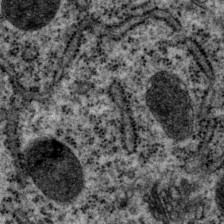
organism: P. pacificus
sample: Pharynx